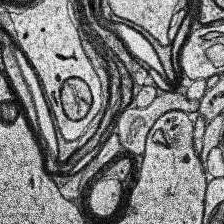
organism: Human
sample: Temporal Lobe